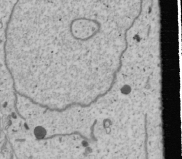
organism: Human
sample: Mitochondria in U2OS cells